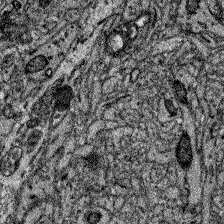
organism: Zebrafish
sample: Larval olfactory bulb